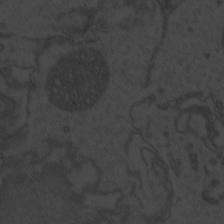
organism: Zebrafish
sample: Macrophage infected with Toxoplasma gondii